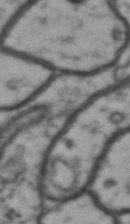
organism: Drosophila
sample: Brain